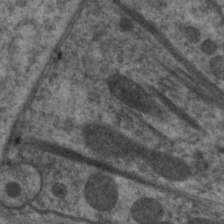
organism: C. elegans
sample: Pharynx